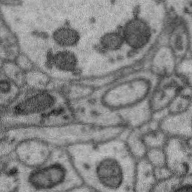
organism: Zebra finch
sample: Brain